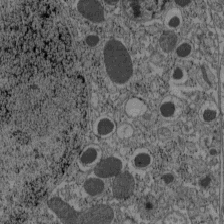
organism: C57BL Mouse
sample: Pancreatic islet